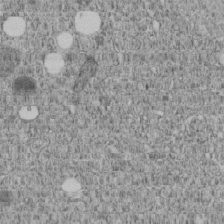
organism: C. elegans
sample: C. elegans embryo early stage